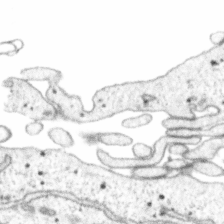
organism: Human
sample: HeLa cells